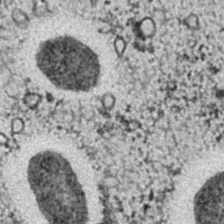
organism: C. elegans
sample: C. elegans embryo